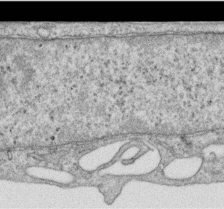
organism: Human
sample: Centriole in RPE cells